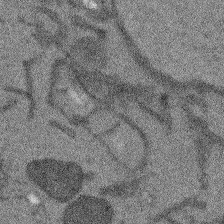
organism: Arabidopsis thaliana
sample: Root tip